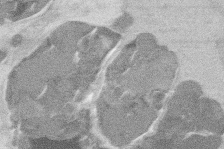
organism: Mouse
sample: T cell stromal cell synapse